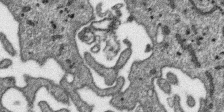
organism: Human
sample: Lung epithelial cells infected with SARS-CoV-2